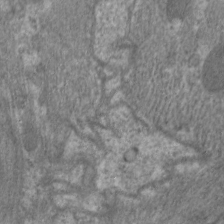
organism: C. elegans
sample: Pharynx